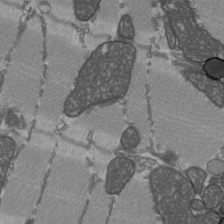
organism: C57BL Mouse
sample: Heart